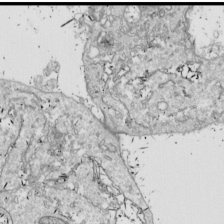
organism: Drosophila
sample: Cell division; meiosis; drosophila spermatocytes